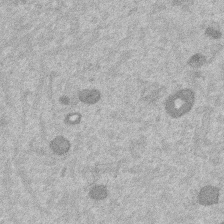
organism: Mouse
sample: Dividing mouse embryo 1 cell stage